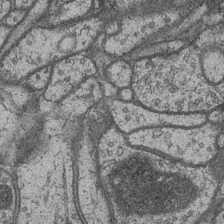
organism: Drosophila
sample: Optic medulla